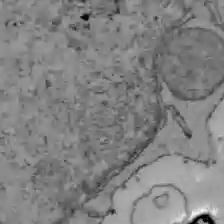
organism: C57BL Mouse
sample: Liver